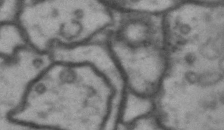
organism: Drosophila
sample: Brain